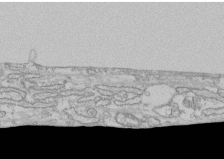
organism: Human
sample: CRL-1474